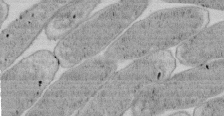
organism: E. coli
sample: Bacterial nucleoid